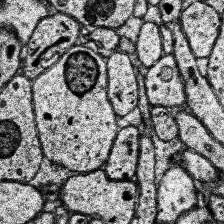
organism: Human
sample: Temporal Lobe